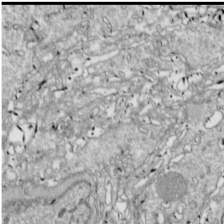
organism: Drosophila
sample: Cell division; meiosis; drosophila spermatocytes